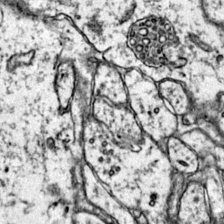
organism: Mouse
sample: Primary visual cortex